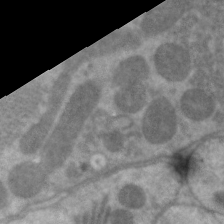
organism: C. elegans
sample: Pharynx